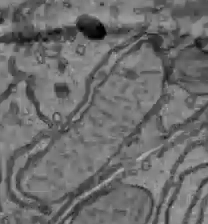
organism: C57BL Mouse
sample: Liver